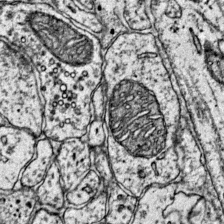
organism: Mouse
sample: Primary visual cortex